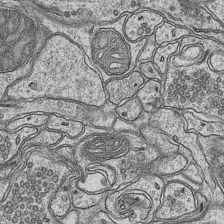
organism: Mouse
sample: CA1 Hippocampus